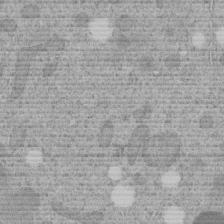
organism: C. elegans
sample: C. elegans embryo early stage